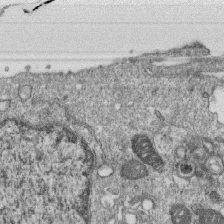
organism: African green monkey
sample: Vero E6 cells infected with SARS-CoV-2